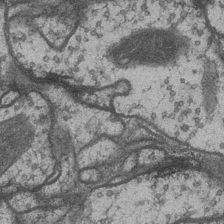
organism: Drosophila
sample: Optic medulla